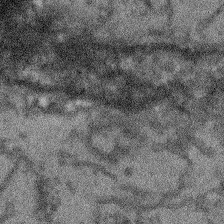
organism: Arabidopsis thaliana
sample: Root tip